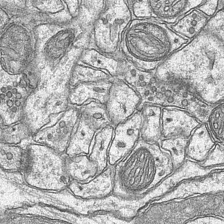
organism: Mouse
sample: CA1 Hippocampus